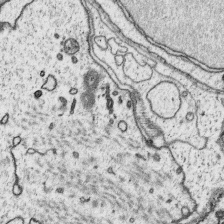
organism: Platynereis dumerilii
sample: Parapodia